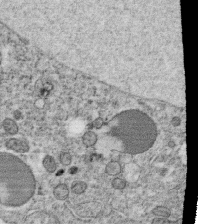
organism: C. elegans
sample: C. elegans oocyte; sperm cells